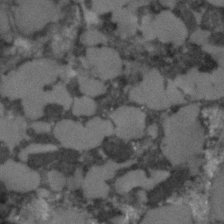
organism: C. elegans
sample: C. elegans embryo